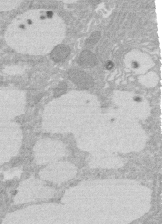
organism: Rat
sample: Salivary granule